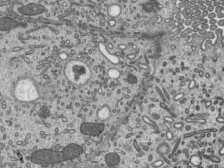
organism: Mouse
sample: Mouse epididymis efferent ductule cilia